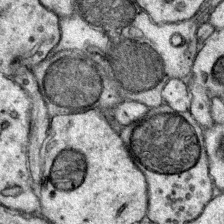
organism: Mouse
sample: Primary visual cortex